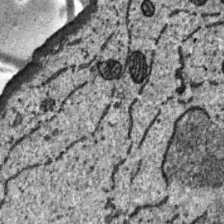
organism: Human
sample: HeLa cells